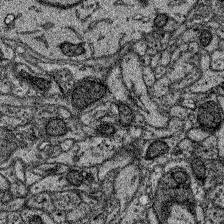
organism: Zebrafish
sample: Larval olfactory bulb